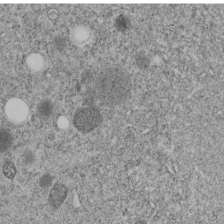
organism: C. elegans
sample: C. elegans embryo early stage